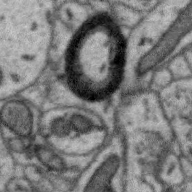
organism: Zebra finch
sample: Brain